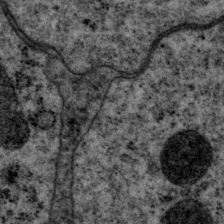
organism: P. pacificus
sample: Pharynx